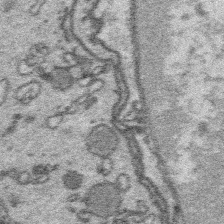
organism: Platynereis dumerilii